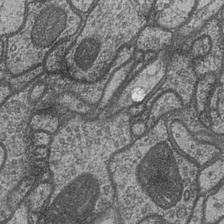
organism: Drosophila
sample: Optic medulla